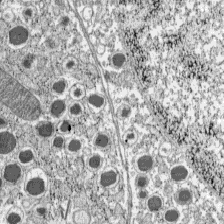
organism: C57BL Mouse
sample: Pancreatic islet